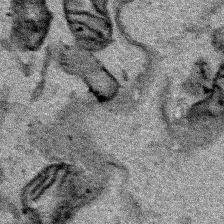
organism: Human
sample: Mitochondria in HCT116 cells